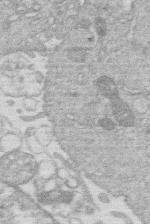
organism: Human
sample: Macrophage cells